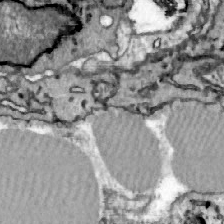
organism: Zebrafish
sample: Actinotrichia fibers